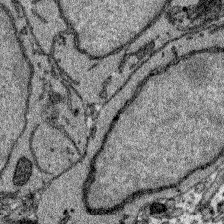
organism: Zebrafish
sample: Larval olfactory bulb